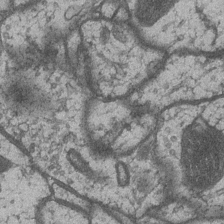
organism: Drosophila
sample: Optic medulla